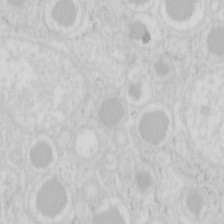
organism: Mouse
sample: Pancreas